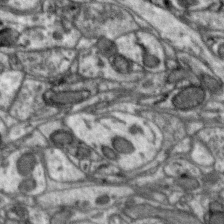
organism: Zebra finch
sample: Brain